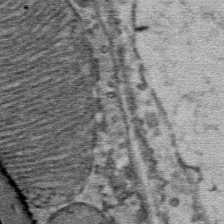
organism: Mouse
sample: Mouse Salivary gland